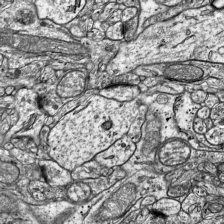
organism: Mouse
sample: Visual Cortex